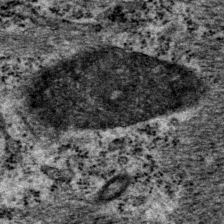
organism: P. pacificus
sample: Pharynx